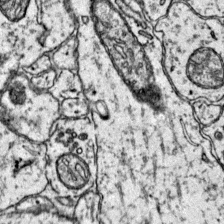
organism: Mouse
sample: Primary visual cortex